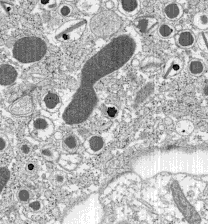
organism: C57BL Mouse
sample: Pancreatic islet